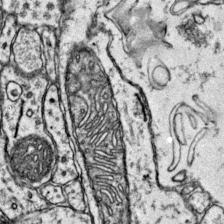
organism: Mouse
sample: Primary visual cortex